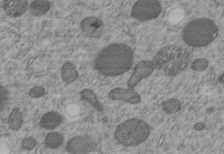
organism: C. elegans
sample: C. elegans embryo early stage